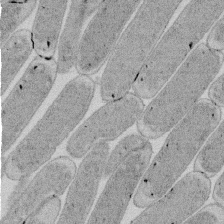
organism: E. coli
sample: Bacterial nucleoid